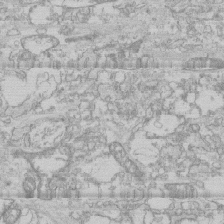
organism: Human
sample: CRL-1474